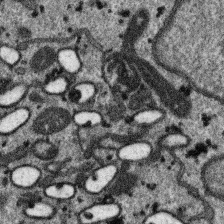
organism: Human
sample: Lung epithelial cells infected with SARS-CoV-2